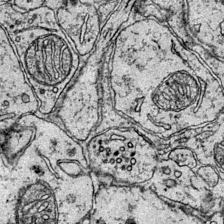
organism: Mouse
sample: Primary visual cortex